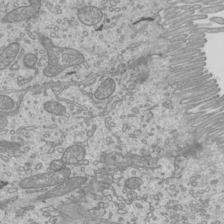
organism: Mouse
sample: Cilia; mouse epididymis